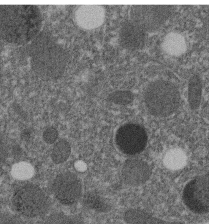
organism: C. elegans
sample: C. elegans embryo early stage